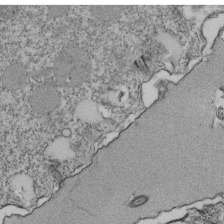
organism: Tetrahymena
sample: Cilia in tetrahymena